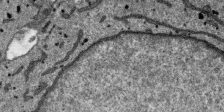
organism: Human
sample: Lung epithelial cells, uninfected (mock) control